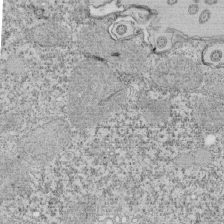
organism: Tetrahymena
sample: Cilia in tetrahymena